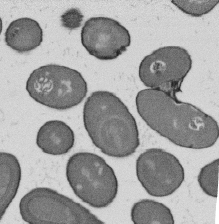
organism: B. subtilis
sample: Bacterial spore